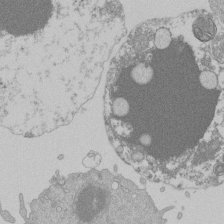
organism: Mouse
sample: Activated Pmel transgenic CD8+ T Cells